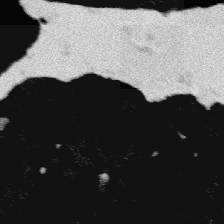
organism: Platynereis dumerilii